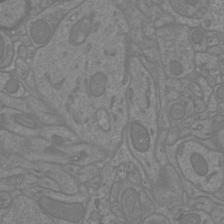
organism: Mouse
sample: Cortical neurons